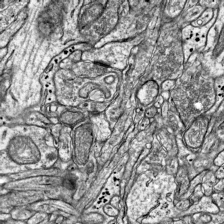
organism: Mouse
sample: Visual Cortex